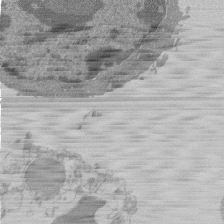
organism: Mouse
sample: Activated Pmel transgenic CD8+ T Cells